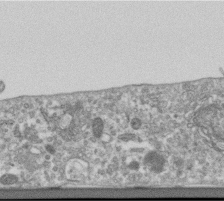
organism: Human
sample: Centriole in RPE cells